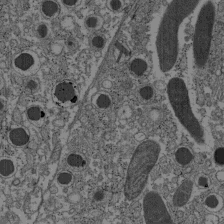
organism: C57BL Mouse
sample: Pancreatic islet